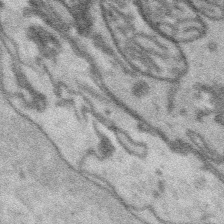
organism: Platynereis dumerilii